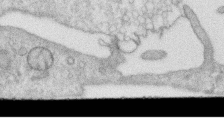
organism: Human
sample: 1205lu cells